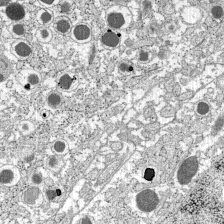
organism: C57BL Mouse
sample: Pancreatic islet